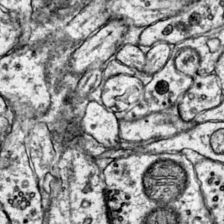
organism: Mouse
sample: Primary visual cortex